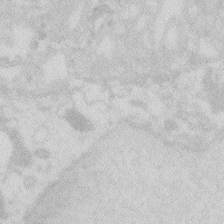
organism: Zebrafish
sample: Macrophage